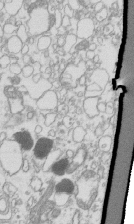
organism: Mouse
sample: Macrophages